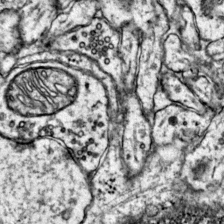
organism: Mouse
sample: Primary visual cortex